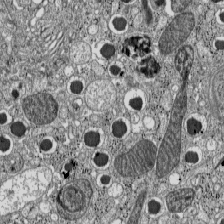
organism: C57BL Mouse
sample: Pancreatic islet